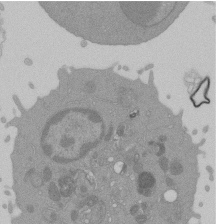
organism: Mouse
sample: Activated Pmel transgenic CD8+ T Cells